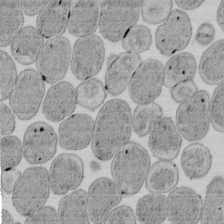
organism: E. coli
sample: Bacterial nucleoid